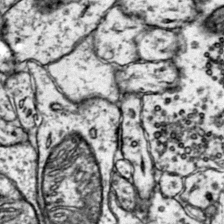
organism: Mouse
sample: Primary visual cortex